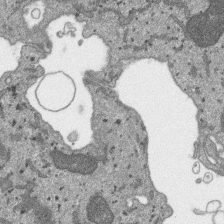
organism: Human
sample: Lung epithelial cells infected with SARS-CoV-2